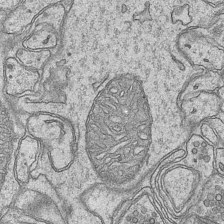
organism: Mouse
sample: CA1 Hippocampus